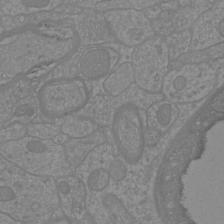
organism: Mouse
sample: Cortical neurons